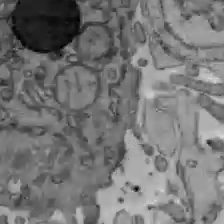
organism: C57BL Mouse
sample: Liver